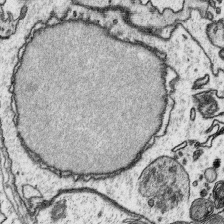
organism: Platynereis dumerilii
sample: Parapodia